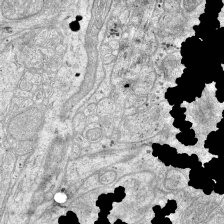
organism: Mouse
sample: Visual Cortex